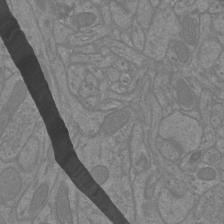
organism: Mouse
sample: Cortical neurons